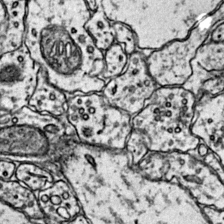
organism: Mouse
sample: Primary visual cortex